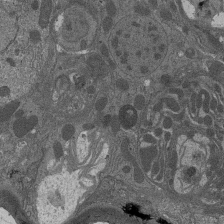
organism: Drosophila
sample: Antenna